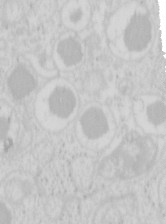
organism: Mouse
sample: Pancreas